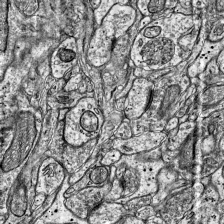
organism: Mouse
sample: Visual Cortex